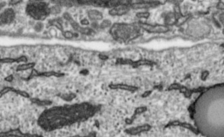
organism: Toxoplasma gondii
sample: Parasites in a vacuole inside a host cell